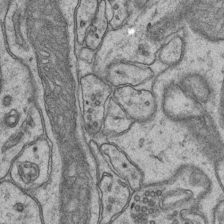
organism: Mouse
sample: CA1 Hippocampus